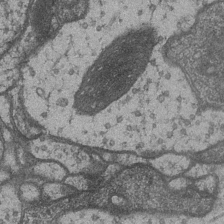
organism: Drosophila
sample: Optic medulla